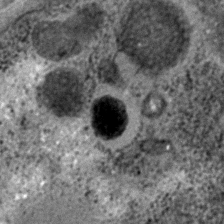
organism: C. elegans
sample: C. elegans embryo